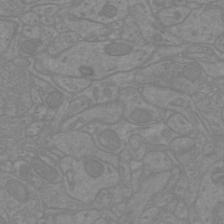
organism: Mouse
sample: Cortical neurons